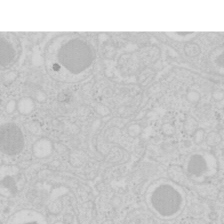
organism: Mouse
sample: Pancreas